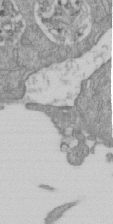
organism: Mouse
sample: ED-1 cell nuclei; centrioles